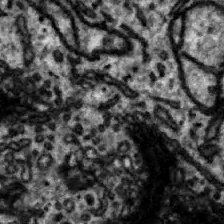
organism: Human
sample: HeLa cells